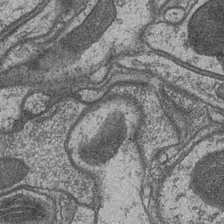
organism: Drosophila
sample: Optic medulla